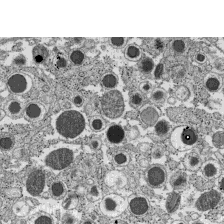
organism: C57BL Mouse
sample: Pancreatic islet